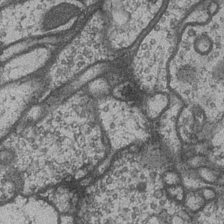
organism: Drosophila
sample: Optic medulla